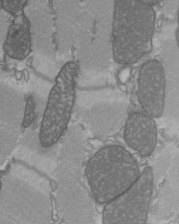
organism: C57BL Mouse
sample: Heart